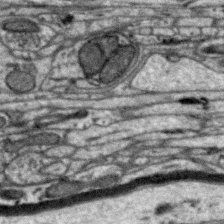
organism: Zebra finch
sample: Brain